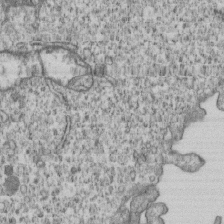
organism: Human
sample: MDA-MB-231 cells